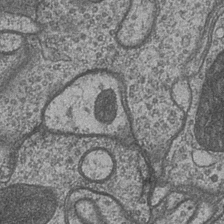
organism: Drosophila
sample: Optic medulla